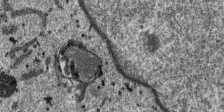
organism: Human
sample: Lung epithelial cells infected with SARS-CoV-2